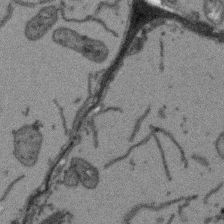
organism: Arabidopsis thaliana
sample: Root tip